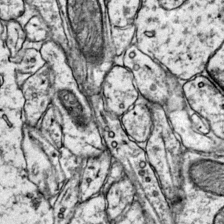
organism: Mouse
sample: Primary visual cortex